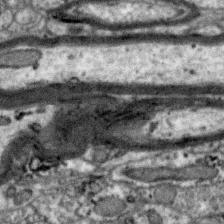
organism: Zebra finch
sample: Brain